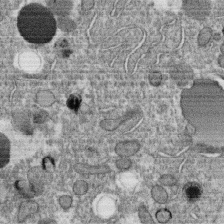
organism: C. elegans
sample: C. elegans oocyte; sperm cells